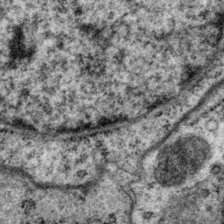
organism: P. pacificus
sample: Pharynx